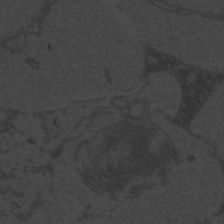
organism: Zebrafish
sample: Macrophage infected with Toxoplasma gondii